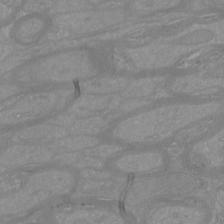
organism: Mouse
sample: Cortical neurons